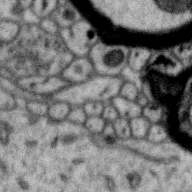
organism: Zebra finch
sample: Brain